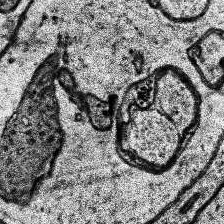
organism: Human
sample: Temporal Lobe